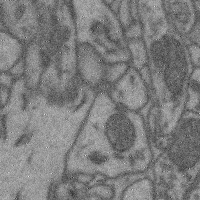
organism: Mouse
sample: Cerebral cortex